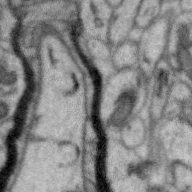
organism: Zebra finch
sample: Brain